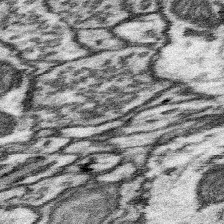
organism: Mouse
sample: Somatosensory cortex neuropil